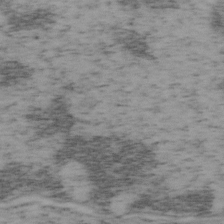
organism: Mouse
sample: OT-I killer T cells with ID8 ovarian cancer cells